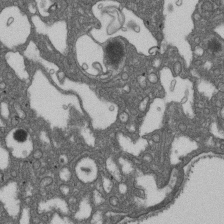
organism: Drosophila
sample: Nephrocyte